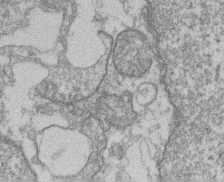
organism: Mouse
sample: T cell stromal cell synapse